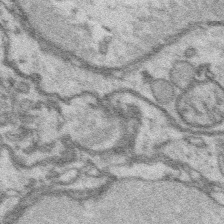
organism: Platynereis dumerilii